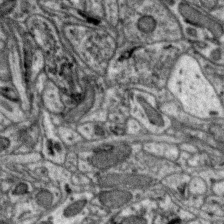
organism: Zebra finch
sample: Brain